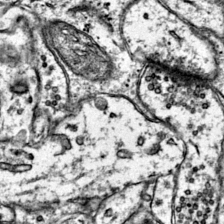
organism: Mouse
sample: Primary visual cortex